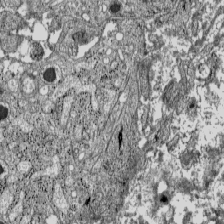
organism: C57BL Mouse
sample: Pancreatic islet